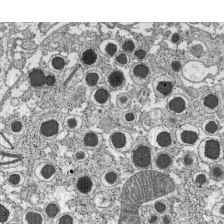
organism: C57BL Mouse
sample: Pancreatic islet